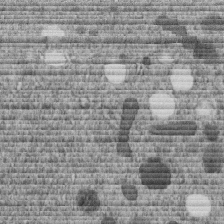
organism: C. elegans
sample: C. elegans embryo early stage